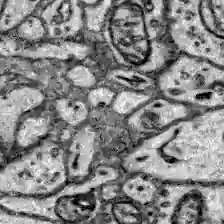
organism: Zebrafish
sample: Brain